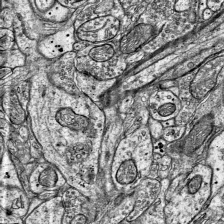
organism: Mouse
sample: Visual Cortex